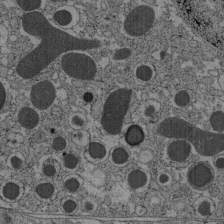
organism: C57BL Mouse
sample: Pancreatic islet